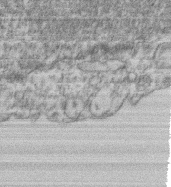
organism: Mouse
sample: T cell stromal cell synapse